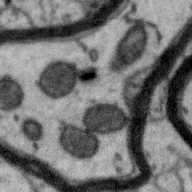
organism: Zebra finch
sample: Brain